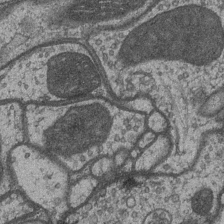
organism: Drosophila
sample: Optic medulla